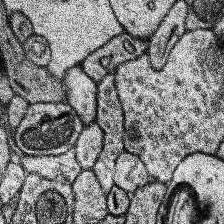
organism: Human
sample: Temporal Lobe